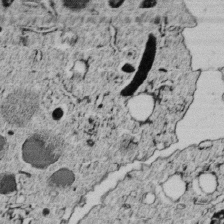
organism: C. elegans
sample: C. elegans embryo early stage